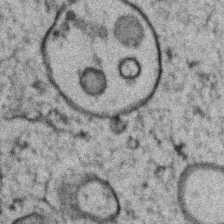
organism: Zebrafish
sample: Zebrafish embryo